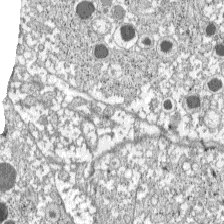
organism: C57BL Mouse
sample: Pancreatic islet